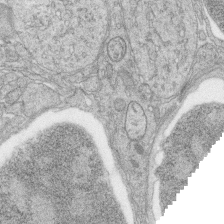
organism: Zebrafish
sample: synaptic ribbons in rod cells and cone cells